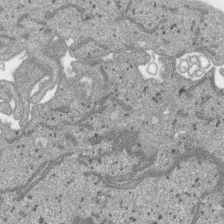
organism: Human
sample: Lung epithelial cells infected with SARS-CoV-2